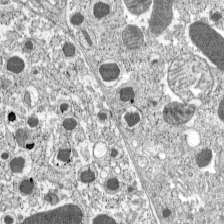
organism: C57BL Mouse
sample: Pancreatic islet